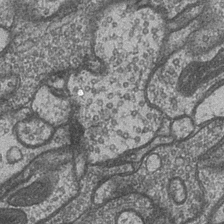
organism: Drosophila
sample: Optic medulla